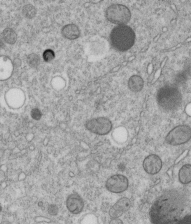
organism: C. elegans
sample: C. elegans embryo early stage